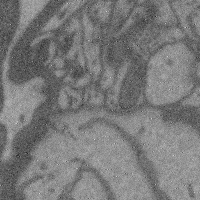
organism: Mouse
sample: Cerebral cortex